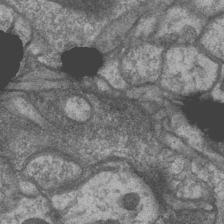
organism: Drosophila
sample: Optic medulla